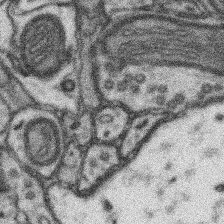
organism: Mouse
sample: Somatosensory cortex neuropil